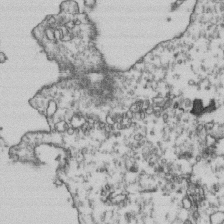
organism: Human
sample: Activated Jurkat CD4+ T cells